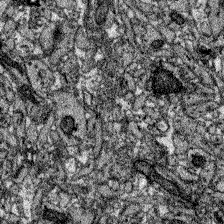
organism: Zebrafish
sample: Larval olfactory bulb